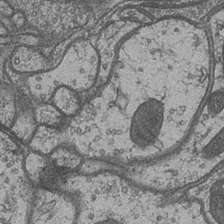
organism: Drosophila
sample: Optic medulla